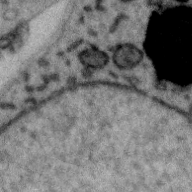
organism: Zebra finch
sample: Brain